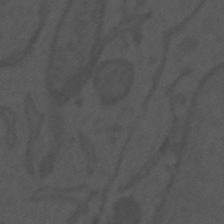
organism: Mouse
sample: Suprachiasmatic nucleus